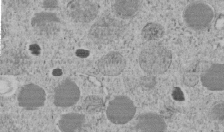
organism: C. elegans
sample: C. elegans embryo early stage